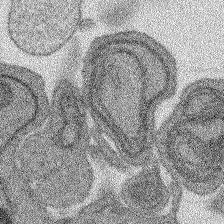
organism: Human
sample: HeLa cells